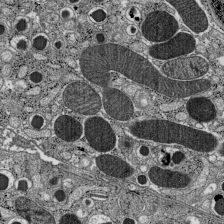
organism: C57BL Mouse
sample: Pancreatic islet